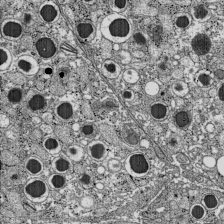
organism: C57BL Mouse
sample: Pancreatic islet